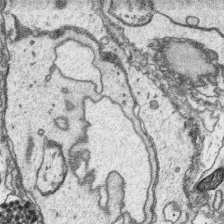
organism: Platynereis dumerilii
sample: Parapodia